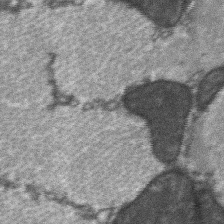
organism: C57BL Mouse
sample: Soleus